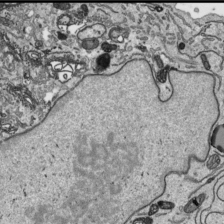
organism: Human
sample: Mitochondria in HCT116 cells